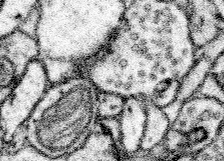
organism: Mouse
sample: Somatosensory cortex neuropil